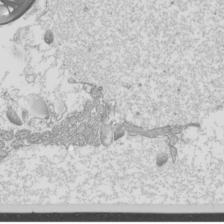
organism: Mouse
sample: Cilia; mouse epididymis